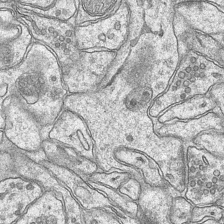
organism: Mouse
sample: CA1 Hippocampus